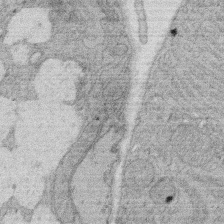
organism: Rat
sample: Salivary granule